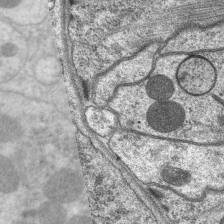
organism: C. elegans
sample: Pharynx